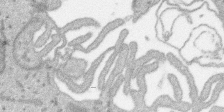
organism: Human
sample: Lung epithelial cells infected with SARS-CoV-2